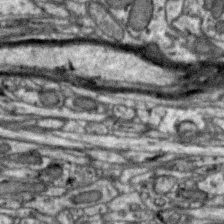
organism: Zebra finch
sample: Brain